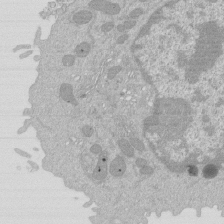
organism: Mouse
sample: Activated Pmel transgenic CD8+ T Cells